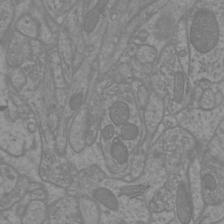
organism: Mouse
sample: Cortical neurons